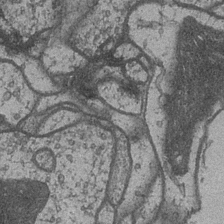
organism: Drosophila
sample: Optic medulla